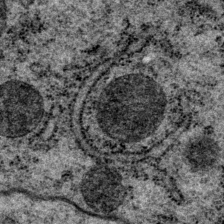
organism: P. pacificus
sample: Pharynx